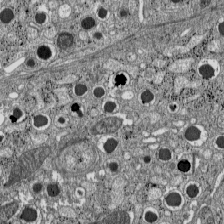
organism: C57BL Mouse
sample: Pancreatic islet